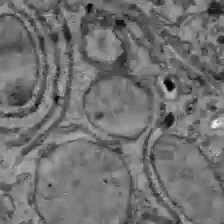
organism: C57BL Mouse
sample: Liver